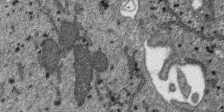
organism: Human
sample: Lung epithelial cells infected with SARS-CoV-2